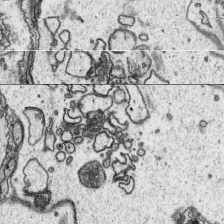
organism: Platynereis dumerilii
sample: Parapodia